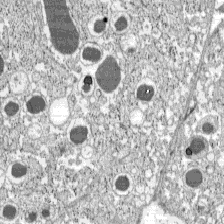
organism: C57BL Mouse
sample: Pancreatic islet